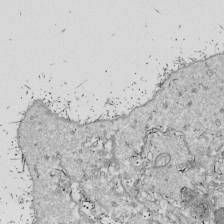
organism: Drosophila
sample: Cell division; meiosis; drosophila spermatocytes